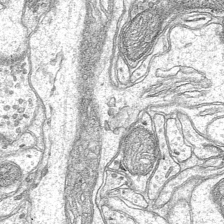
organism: Mouse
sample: CA1 Hippocampus